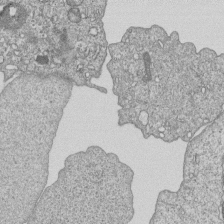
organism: Human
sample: MDA-MB-231 cells